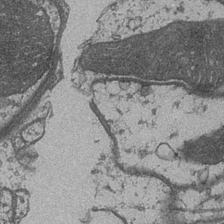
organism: Drosophila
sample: Optic medulla